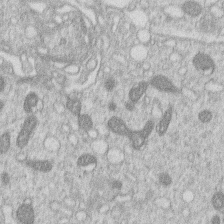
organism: Human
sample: Macrophage cells